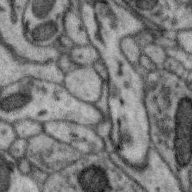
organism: Zebra finch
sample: Brain